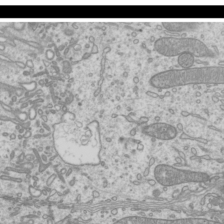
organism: Mouse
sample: Cilia; mouse epididymis